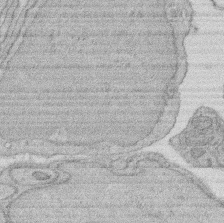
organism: Rat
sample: Salivary granule